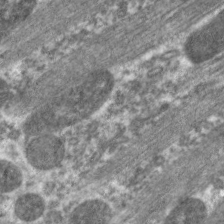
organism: C. elegans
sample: Pharynx